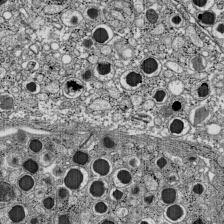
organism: C57BL Mouse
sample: Pancreatic islet